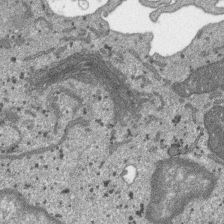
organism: Human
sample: Lung epithelial cells infected with SARS-CoV-2